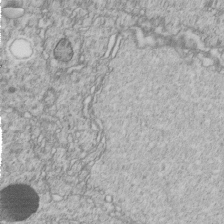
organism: C. elegans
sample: C. elegans embryo early stage